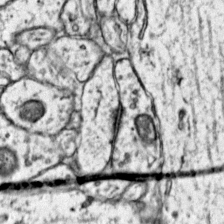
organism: Mouse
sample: Primary visual cortex